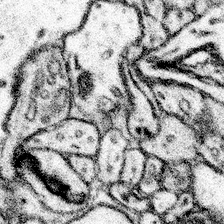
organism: Mouse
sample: Somatosensory cortex neuropil